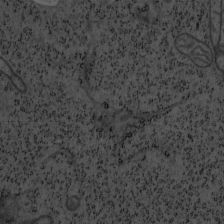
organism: Mouse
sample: OT-I killer T cells with ID8 ovarian cancer cells